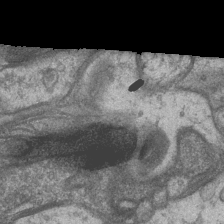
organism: Drosophila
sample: Optic medulla